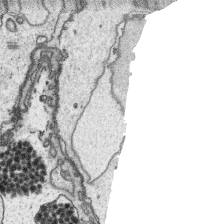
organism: Platynereis dumerilii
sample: Parapodia